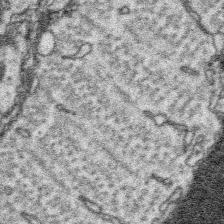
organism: Platynereis dumerilii